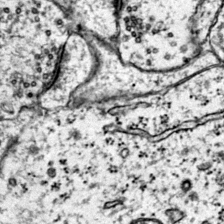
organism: Mouse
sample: Primary visual cortex